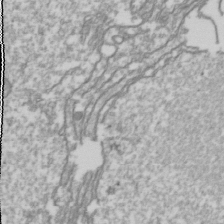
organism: Drosophila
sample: Cell division; meiosis; drosophila spermatocytes